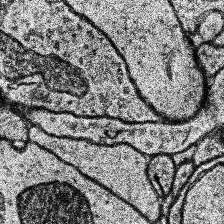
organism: Human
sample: Temporal Lobe